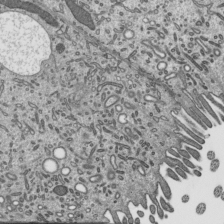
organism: Mouse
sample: Mouse epididymis efferent ductule cilia